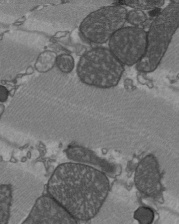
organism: C57BL Mouse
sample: Heart